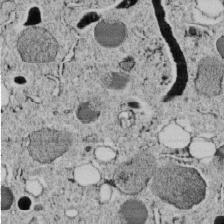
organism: C. elegans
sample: C. elegans embryo early stage